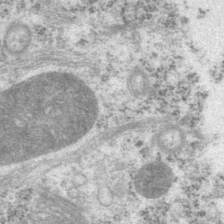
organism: P. pacificus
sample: Pharynx